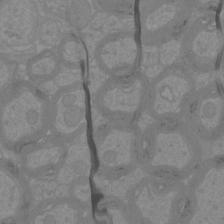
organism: Mouse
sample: Cortical neurons